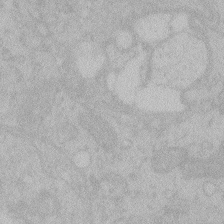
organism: Zebrafish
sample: Macrophage infected with Toxoplasma gondii